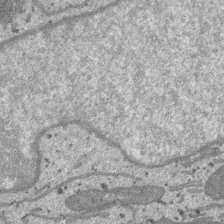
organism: Human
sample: Lung epithelial cells infected with SARS-CoV-2